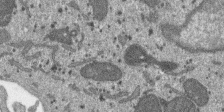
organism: Human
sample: Lung epithelial cells infected with SARS-CoV-2